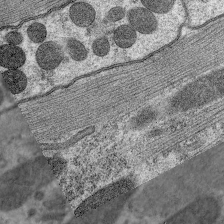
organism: C. elegans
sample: Pharynx